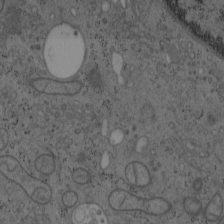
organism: Mouse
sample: OT-I killer T cells with ID8 ovarian cancer cells